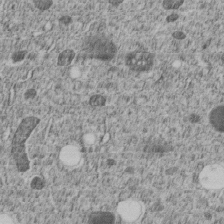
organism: C. elegans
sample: C. elegans embryo early stage